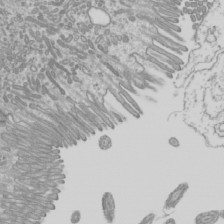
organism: Mouse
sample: Cilia; mouse epididymis